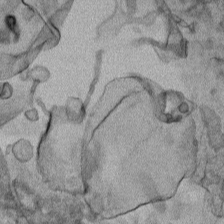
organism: Human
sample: Mitochondria in HCT116 cells